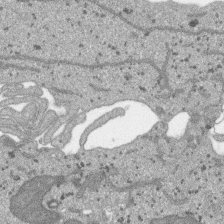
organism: Human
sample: Lung epithelial cells infected with SARS-CoV-2